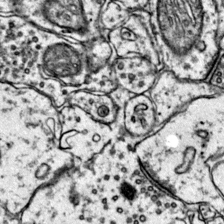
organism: Mouse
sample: Primary visual cortex